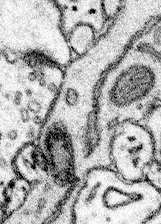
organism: Mouse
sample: Somatosensory cortex neuropil